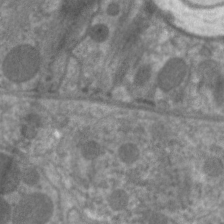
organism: C. elegans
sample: Pharynx